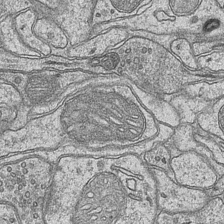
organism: Mouse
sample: CA1 Hippocampus